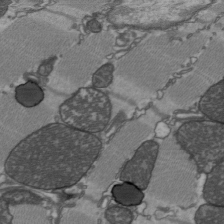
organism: C57BL Mouse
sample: Heart